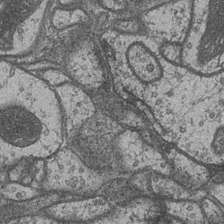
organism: Drosophila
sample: Optic medulla